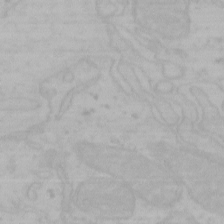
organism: Mouse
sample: Choroid plexus